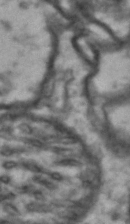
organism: Drosophila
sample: Brain